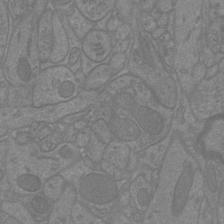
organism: Mouse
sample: Cortical neurons